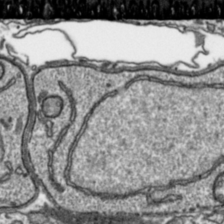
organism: Toxoplasma gondii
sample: Parasites in a vacuole inside a host cell